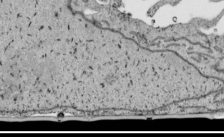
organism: Human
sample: Mitochondria in HCT116 cells